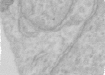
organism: Human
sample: Centriole in RPE cells